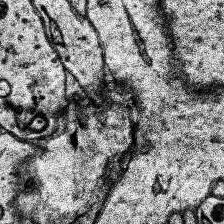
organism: Human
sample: Temporal Lobe